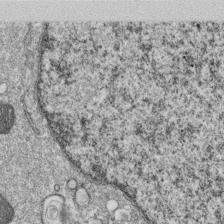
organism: African green monkey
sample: Vero E6 cells infected with SARS-CoV-2